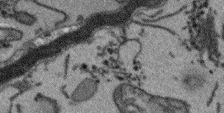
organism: Arabidopsis thaliana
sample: Root tip